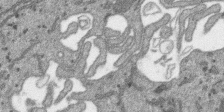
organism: Human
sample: Lung epithelial cells infected with SARS-CoV-2